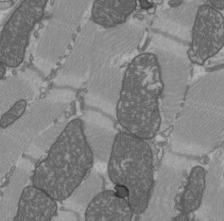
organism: C57BL Mouse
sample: Heart